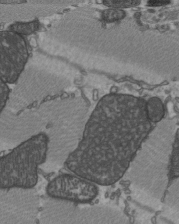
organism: C57BL Mouse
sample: Heart